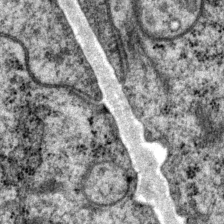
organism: P. pacificus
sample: Pharynx